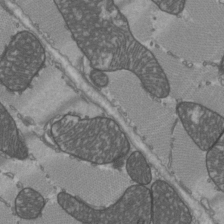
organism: C57BL Mouse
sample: Heart